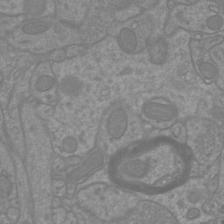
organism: Mouse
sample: Cortical neurons